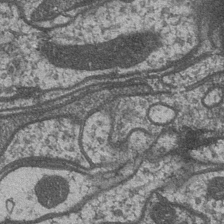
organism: Drosophila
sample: Optic medulla